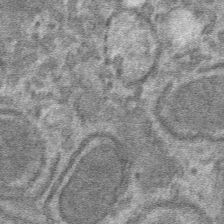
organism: Mouse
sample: Mouse hepatocytes